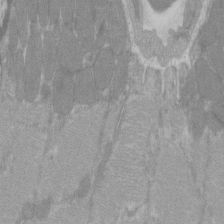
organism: C57BL Mouse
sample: Tibialis anterior muscle cell